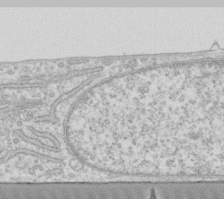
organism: Human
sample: Fibroblast cells